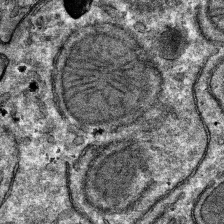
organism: Mouse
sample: Mouse hepatocytes